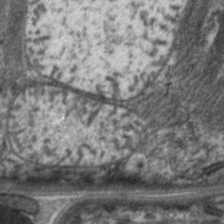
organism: C. elegans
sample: Pharynx